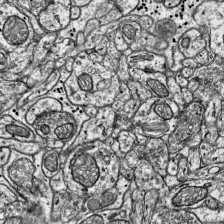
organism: Mouse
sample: Visual Cortex